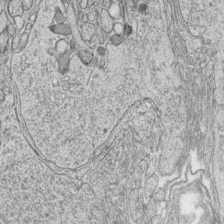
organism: Zebrafish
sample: synaptic ribbons in rod cells and cone cells